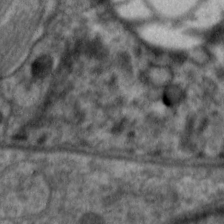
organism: C. elegans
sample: Pharynx